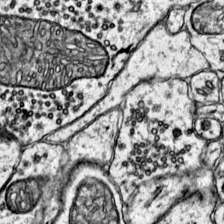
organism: Mouse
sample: Primary visual cortex